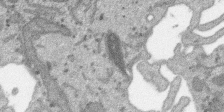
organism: Human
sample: Lung epithelial cells infected with SARS-CoV-2